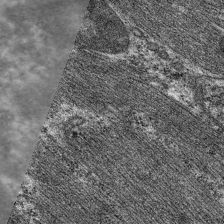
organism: C. elegans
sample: Pharynx